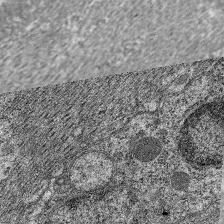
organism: C. elegans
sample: Pharynx